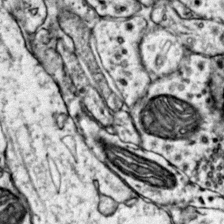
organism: Mouse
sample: Primary visual cortex